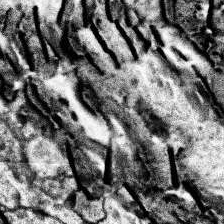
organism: Human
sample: Temporal Lobe